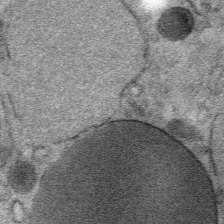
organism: Mouse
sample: Mouse Salivary gland